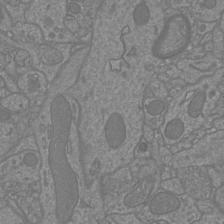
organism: Mouse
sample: Cortical neurons